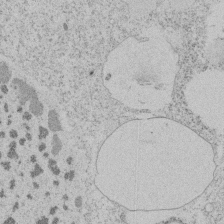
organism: Tetrahymena